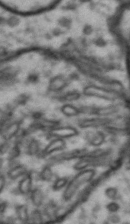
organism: Drosophila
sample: Brain